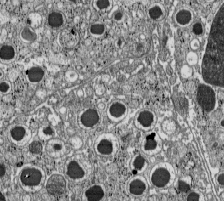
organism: C57BL Mouse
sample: Pancreatic islet